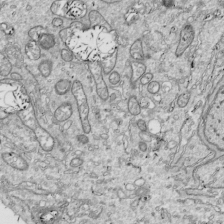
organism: Drosophila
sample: Cell division; meiosis; drosophila spermatocytes